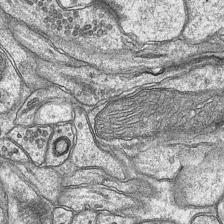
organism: Mouse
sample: CA1 Hippocampus